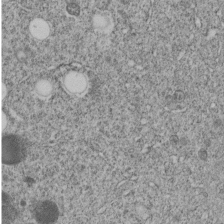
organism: C. elegans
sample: C. elegans embryo early stage